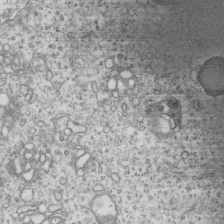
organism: Human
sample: MDA-MB-231 cells